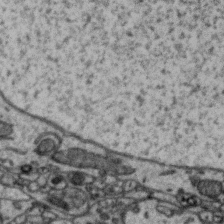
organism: Zebra finch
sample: Brain